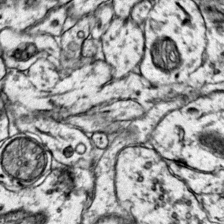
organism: Mouse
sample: Primary visual cortex